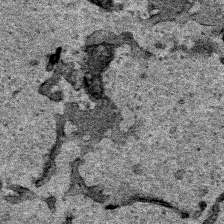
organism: Human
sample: Mitochondria in HCT116 cells